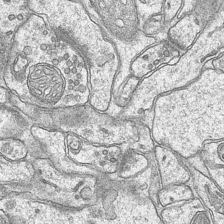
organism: Mouse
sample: CA1 Hippocampus